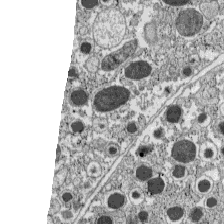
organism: C57BL Mouse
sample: Pancreatic islet